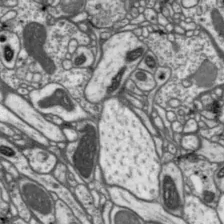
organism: Drosophila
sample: Protocerebral bridge